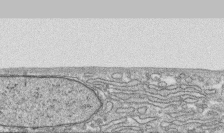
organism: Human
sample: CRL-1474